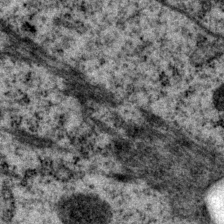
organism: P. pacificus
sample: Pharynx